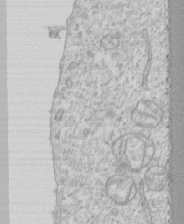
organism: Human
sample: CRL-1474